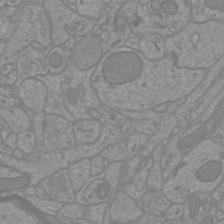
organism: Mouse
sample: Cortical neurons